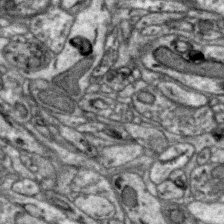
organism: Zebra finch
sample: Brain